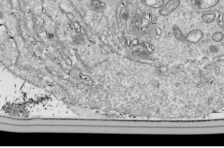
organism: Drosophila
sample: Cell division; meiosis; drosophila spermatocytes